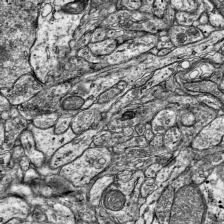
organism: Mouse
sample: Visual Cortex